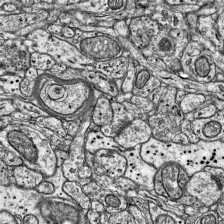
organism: Mouse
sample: Visual Cortex